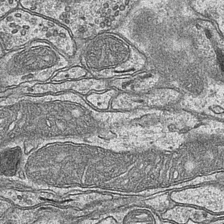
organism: Mouse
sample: CA1 Hippocampus